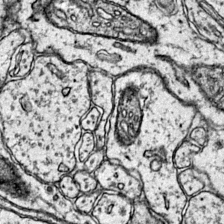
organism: Mouse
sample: Primary visual cortex